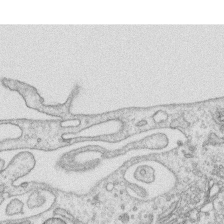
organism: Human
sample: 1205lu cells